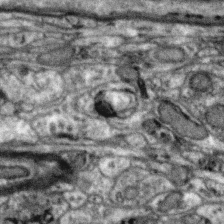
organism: Zebra finch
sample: Brain